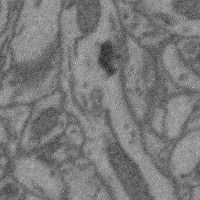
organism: Mouse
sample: Cerebral cortex